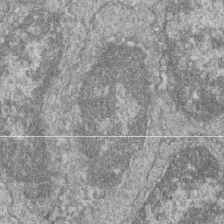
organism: Zebrafish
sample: Cilia; retinal pigment epithelium